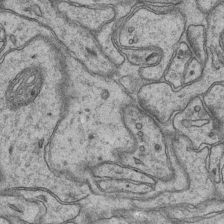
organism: Mouse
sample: CA1 Hippocampus